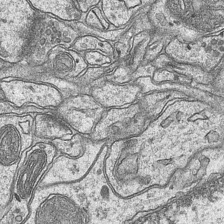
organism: Mouse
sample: CA1 Hippocampus